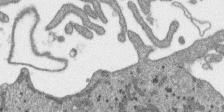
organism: Human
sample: Lung epithelial cells infected with SARS-CoV-2